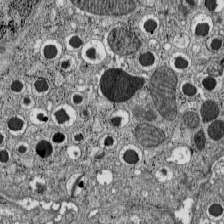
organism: C57BL Mouse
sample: Pancreatic islet